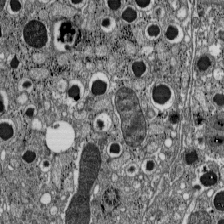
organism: C57BL Mouse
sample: Pancreatic islet